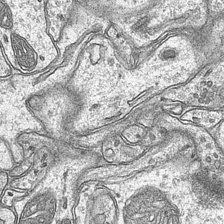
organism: Mouse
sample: CA1 Hippocampus